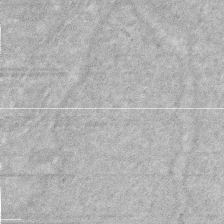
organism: Human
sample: HIV infected U937 cells